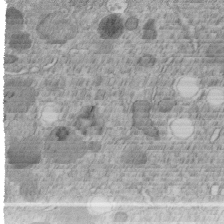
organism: C. elegans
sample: C. elegans embryo early stage